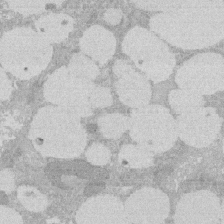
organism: Rat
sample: Salivary granule